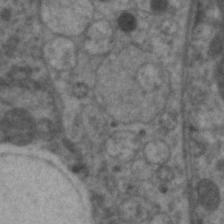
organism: C. elegans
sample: Pharynx